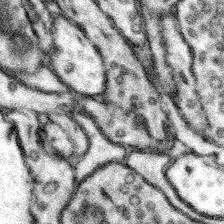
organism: Mouse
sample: Somatosensory cortex neuropil